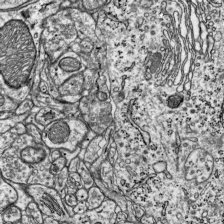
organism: Mouse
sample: Visual Cortex